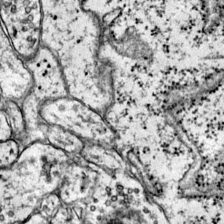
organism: Mouse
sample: Primary visual cortex